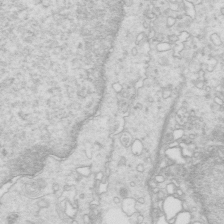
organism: Mouse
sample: Multiciliated cells